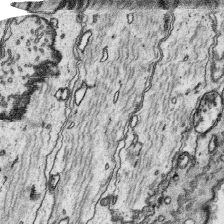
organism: Platynereis dumerilii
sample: Parapodia